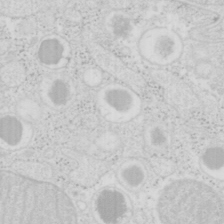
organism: Mouse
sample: Pancreas